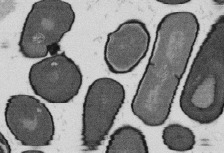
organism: B. subtilis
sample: Bacterial spore